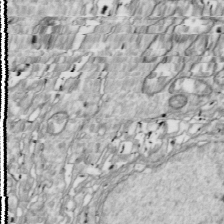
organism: Drosophila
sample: Cell division; meiosis; drosophila spermatocytes